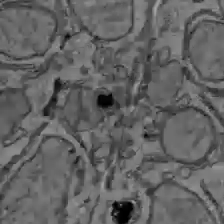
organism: C57BL Mouse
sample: Liver